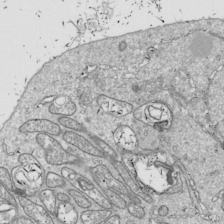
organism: Drosophila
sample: Cell division; meiosis; drosophila spermatocytes